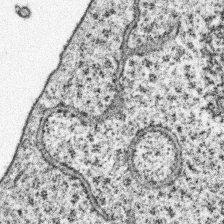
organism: Human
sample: HeLa cells